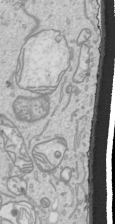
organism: Human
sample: Mitochondria in HCT116 cells